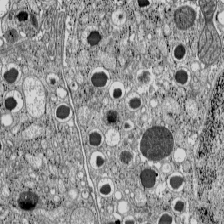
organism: C57BL Mouse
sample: Pancreatic islet